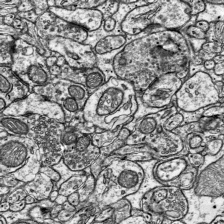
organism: Mouse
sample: Visual Cortex